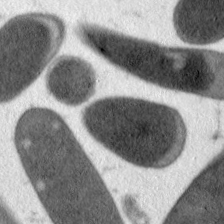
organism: C. elegans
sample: Pharynx